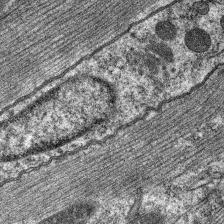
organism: C. elegans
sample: Pharynx